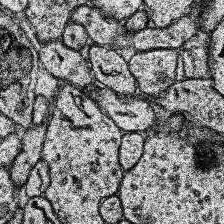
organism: Human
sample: Temporal Lobe